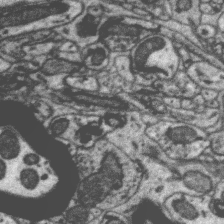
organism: Zebra finch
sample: Brain